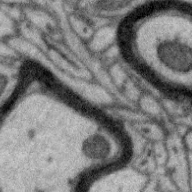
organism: Zebra finch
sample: Brain